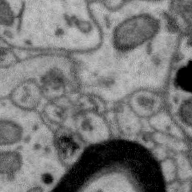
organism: Zebra finch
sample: Brain